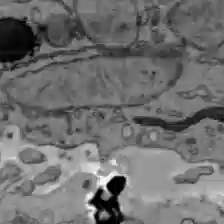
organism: C57BL Mouse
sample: Liver